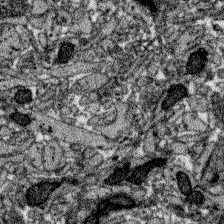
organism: Zebrafish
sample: Larval olfactory bulb